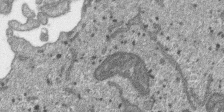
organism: Human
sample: Lung epithelial cells infected with SARS-CoV-2